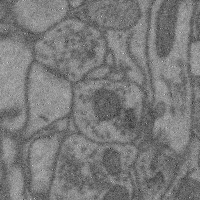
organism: Mouse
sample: Cerebral cortex